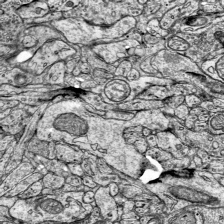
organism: Mouse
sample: Visual Cortex